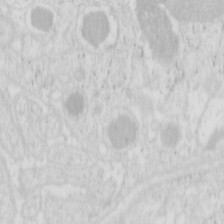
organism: Mouse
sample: Pancreas